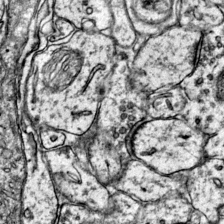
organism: Mouse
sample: Primary visual cortex